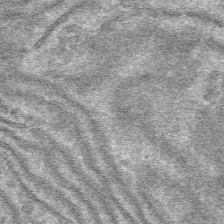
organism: Mouse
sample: Mouse hepatocytes